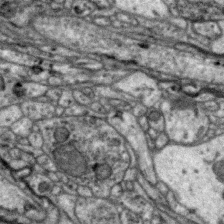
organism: Zebra finch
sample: Brain